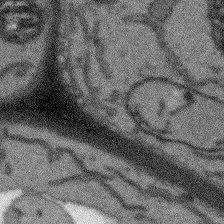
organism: Arabidopsis thaliana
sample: Root tip